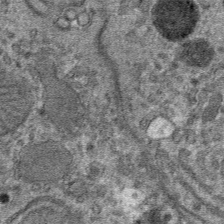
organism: Mouse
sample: Mouse hepatocytes